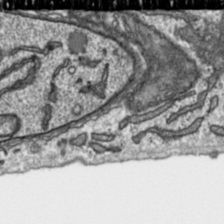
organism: Toxoplasma gondii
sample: Parasites in a vacuole inside a host cell